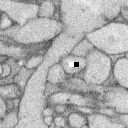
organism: Rabbit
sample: Retina